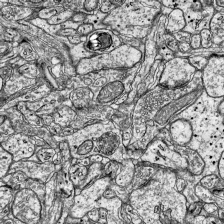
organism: Mouse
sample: Visual Cortex